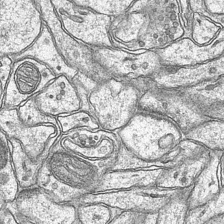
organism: Mouse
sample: CA1 Hippocampus